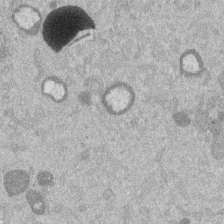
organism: Mouse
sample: Dividing mouse embryo 1 cell stage